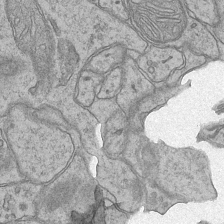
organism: Mouse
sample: CA1 Hippocampus